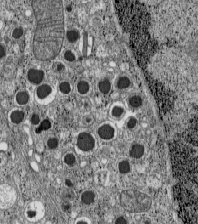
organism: C57BL Mouse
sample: Pancreatic islet